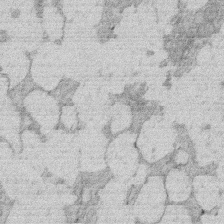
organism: Rat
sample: Salivary granule